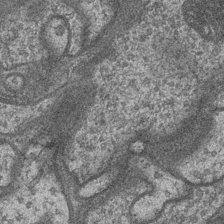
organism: Drosophila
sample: Optic medulla